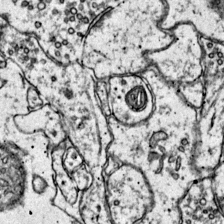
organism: Mouse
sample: Primary visual cortex